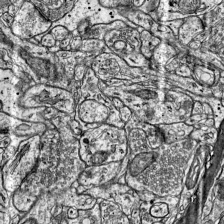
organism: Mouse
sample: Visual Cortex